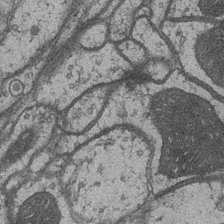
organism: Drosophila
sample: Optic medulla